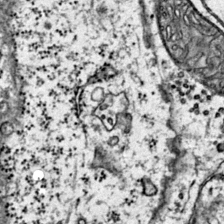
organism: Mouse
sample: Primary visual cortex